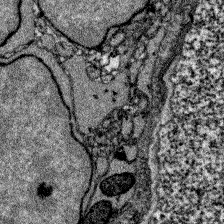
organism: Zebrafish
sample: Larval olfactory bulb